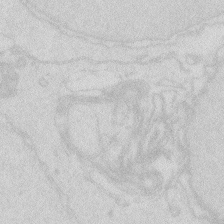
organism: Zebrafish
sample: Macrophage